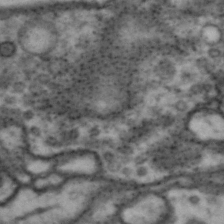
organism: Drosophila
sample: Brain